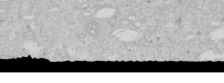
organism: Human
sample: Caco-2 cells